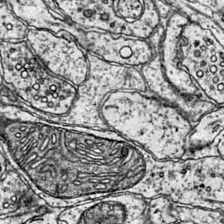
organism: Mouse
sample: Primary visual cortex